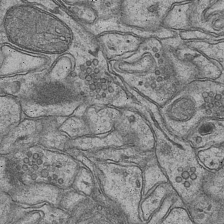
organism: Mouse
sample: CA1 Hippocampus